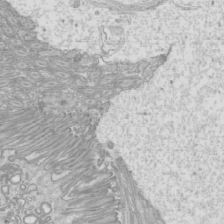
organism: Mouse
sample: Cilia; mouse epididymis